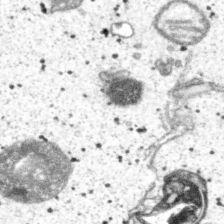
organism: Human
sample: HeLa cells